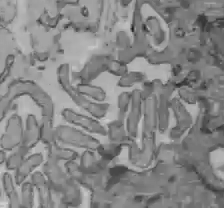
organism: C57BL Mouse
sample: Liver